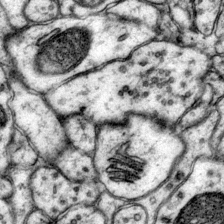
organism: Mouse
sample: Primary visual cortex